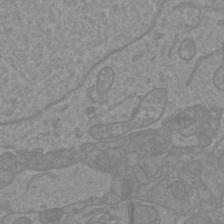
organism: Mouse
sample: Cortical neurons